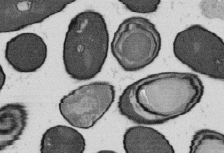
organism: B. subtilis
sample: Bacterial spore